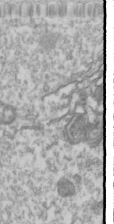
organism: Drosophila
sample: Cell division; meiosis; drosophila spermatocytes